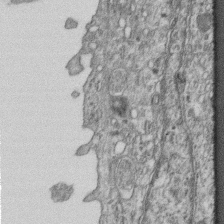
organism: Mouse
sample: Centriole in ependymal cells